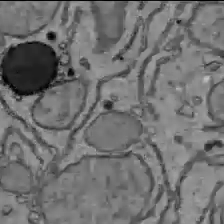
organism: C57BL Mouse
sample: Liver